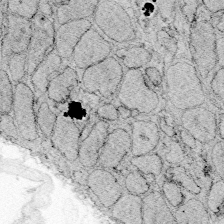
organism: Zebrafish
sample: Whole-Brain